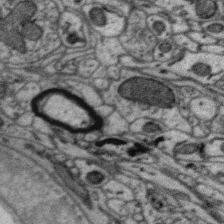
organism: Zebra finch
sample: Brain